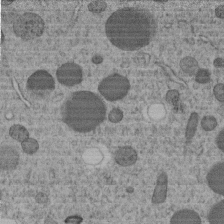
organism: C. elegans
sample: C. elegans embryo early stage